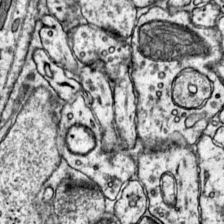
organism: Mouse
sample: Primary visual cortex